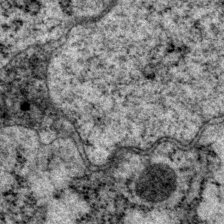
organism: P. pacificus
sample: Pharynx